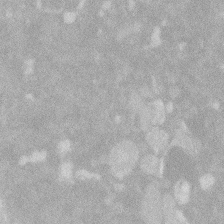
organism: Zebrafish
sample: Macrophage